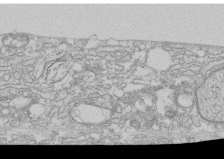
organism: Human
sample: CRL-1474